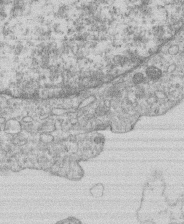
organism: Human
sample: Macrophage cells